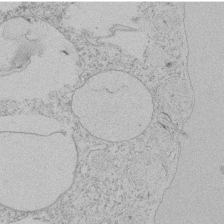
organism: Tetrahymena